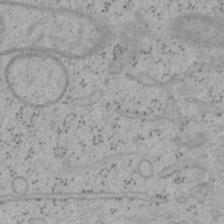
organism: Human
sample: HeLa cells